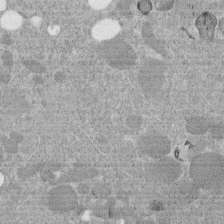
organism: C. elegans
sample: C. elegans embryo early stage